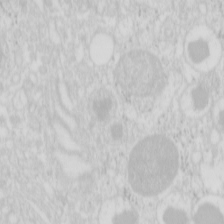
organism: Mouse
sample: Pancreas